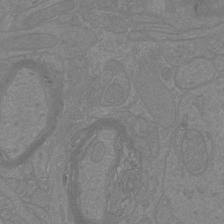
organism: Mouse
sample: Cortical neurons